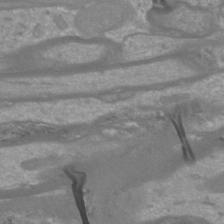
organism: Mouse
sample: Cortical neurons